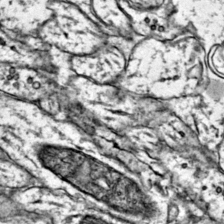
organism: Mouse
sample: Primary visual cortex